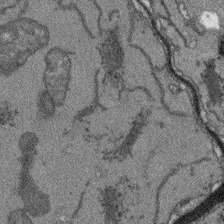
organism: Arabidopsis thaliana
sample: Root tip